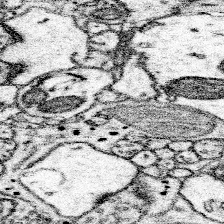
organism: Mouse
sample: Somatosensory cortex neuropil